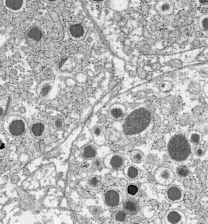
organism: C57BL Mouse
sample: Pancreatic islet